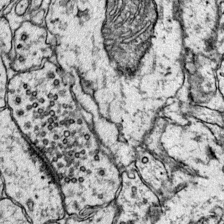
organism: Mouse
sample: Primary visual cortex